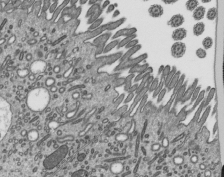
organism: Mouse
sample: Mouse epididymis efferent ductule cilia